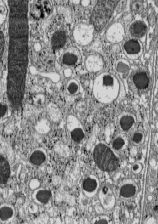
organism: C57BL Mouse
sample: Pancreatic islet